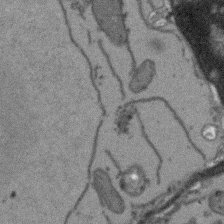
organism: Arabidopsis thaliana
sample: Root tip